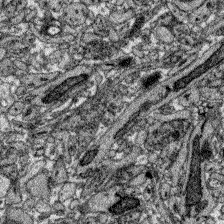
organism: Zebrafish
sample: Larval olfactory bulb